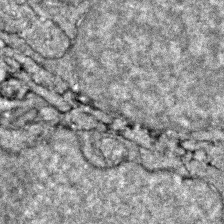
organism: Zebrafish